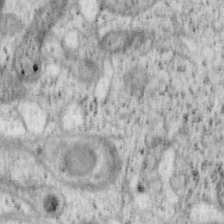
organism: Mouse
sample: OT-I killer T cells with ID8 ovarian cancer cells